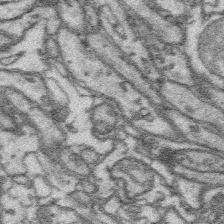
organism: Platynereis dumerilii